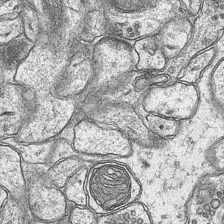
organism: Mouse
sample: CA1 Hippocampus